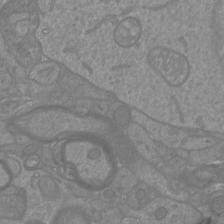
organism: Mouse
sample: Cortical neurons